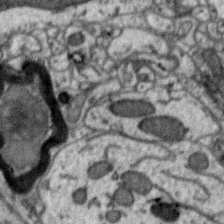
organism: Zebra finch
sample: Brain